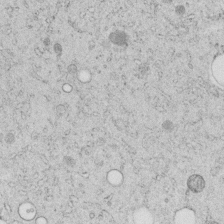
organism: C. elegans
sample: C. elegans embryo early stage